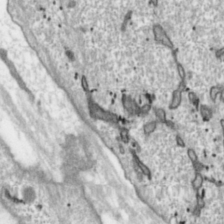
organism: Toxoplasma gondii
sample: Parasites in a vacuole inside a host cell